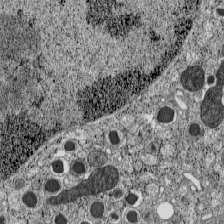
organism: C57BL Mouse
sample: Pancreatic islet